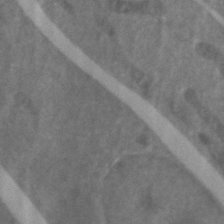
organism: Zebrafish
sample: Zebrafish embryo